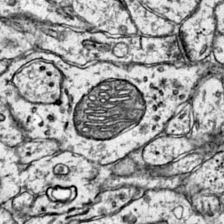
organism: Mouse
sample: Primary visual cortex